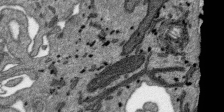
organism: Human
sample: Lung epithelial cells, uninfected (mock) control